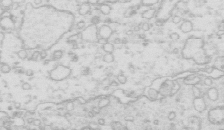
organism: Mouse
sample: Multiciliated cells